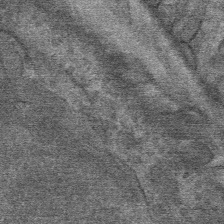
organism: Mouse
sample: Mouse Salivary gland